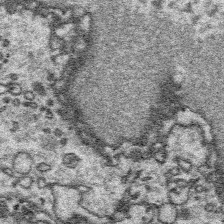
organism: Platynereis dumerilii